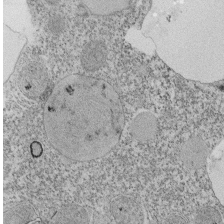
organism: Tetrahymena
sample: Cilia in tetrahymena